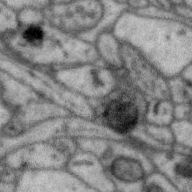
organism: Zebra finch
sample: Brain